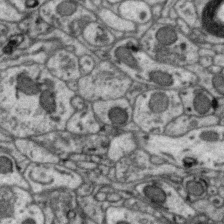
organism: Zebra finch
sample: Brain